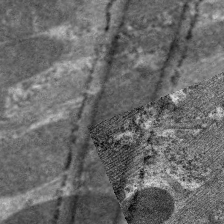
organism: C. elegans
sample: Pharynx